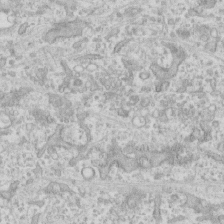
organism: Human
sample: CRL-1474